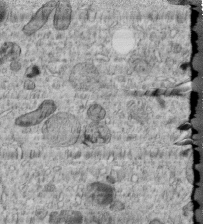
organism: C. elegans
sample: C. elegans embryo early stage